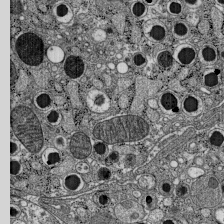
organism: C57BL Mouse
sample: Pancreatic islet